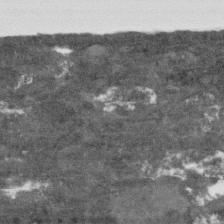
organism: Human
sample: Fibroblast cells